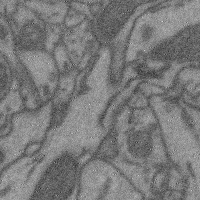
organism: Mouse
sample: Cerebral cortex